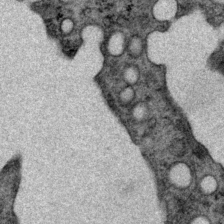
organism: P. pacificus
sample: Pharynx